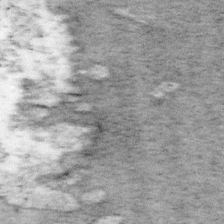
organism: Mouse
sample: OT-I killer T cells with ID8 ovarian cancer cells